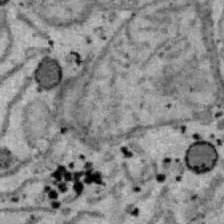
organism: Mouse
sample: Liver from an obese (ob/ob) mouse